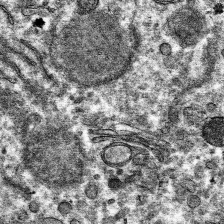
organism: Mouse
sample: Mouse hepatocytes